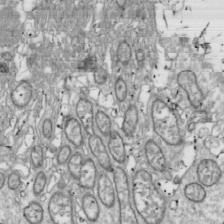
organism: Drosophila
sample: Cell division; meiosis; drosophila spermatocytes